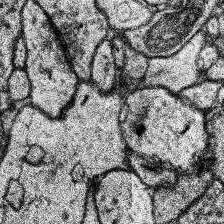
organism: Human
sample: Temporal Lobe